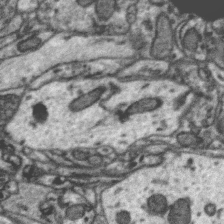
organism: Zebra finch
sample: Brain